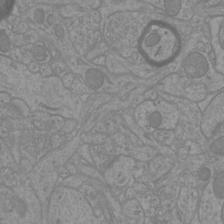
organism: Mouse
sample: Cortical neurons